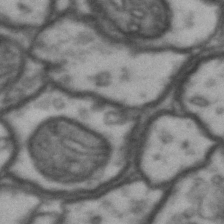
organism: Drosophila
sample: Brain